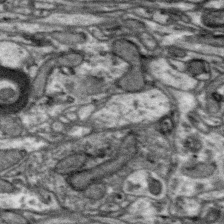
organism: Zebra finch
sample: Brain